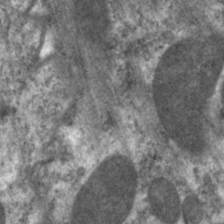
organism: C. elegans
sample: Pharynx